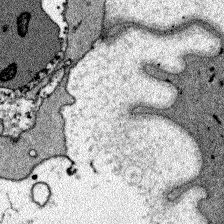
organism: Zebrafish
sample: Larval olfactory bulb